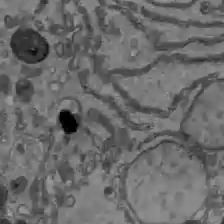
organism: C57BL Mouse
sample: Liver